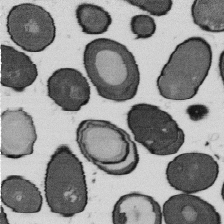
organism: B. subtilis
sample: Bacterial spore